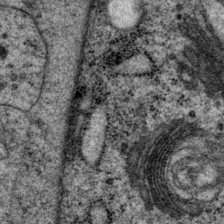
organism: P. pacificus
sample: Pharynx